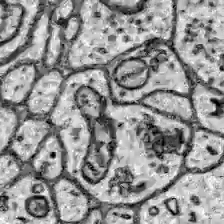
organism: Zebrafish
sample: Brain